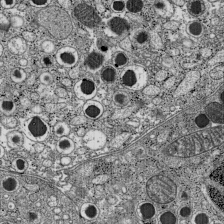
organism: C57BL Mouse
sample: Pancreatic islet